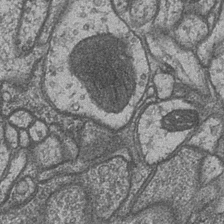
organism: Drosophila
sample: Optic medulla